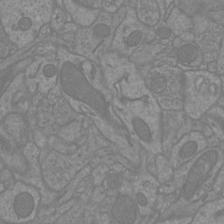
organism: Mouse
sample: Cortical neurons